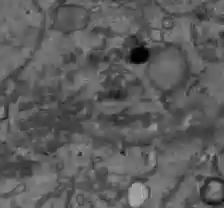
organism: C57BL Mouse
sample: Liver